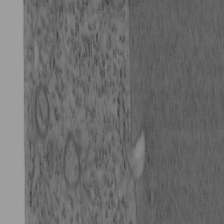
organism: Human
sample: HeLa cells